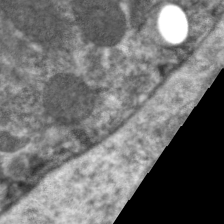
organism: C. elegans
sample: Pharynx